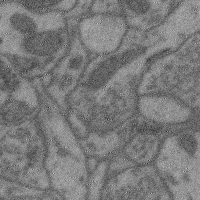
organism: Mouse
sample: Cerebral cortex